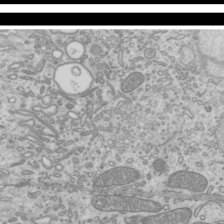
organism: Mouse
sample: Cilia; mouse epididymis